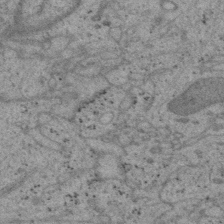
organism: Human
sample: HeLa cells